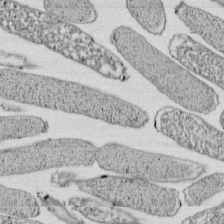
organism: E. coli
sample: Bacterial nucleoid